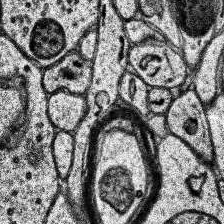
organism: Human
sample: Temporal Lobe